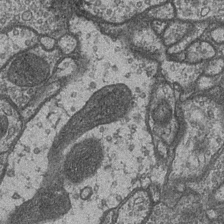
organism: Drosophila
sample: Optic medulla